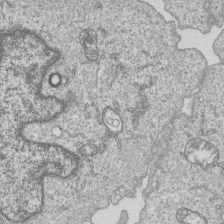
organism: Human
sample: MDA-MB-231 cells